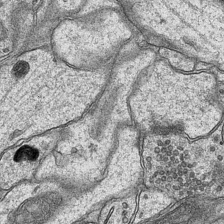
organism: Mouse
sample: CA1 Hippocampus